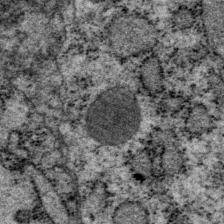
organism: P. pacificus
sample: Pharynx